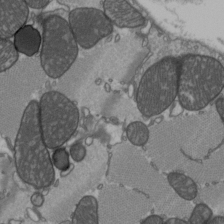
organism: C57BL Mouse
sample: Heart